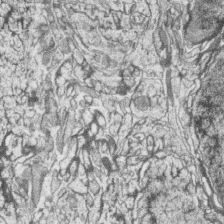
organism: Zebrafish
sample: synaptic ribbons in rod cells and cone cells